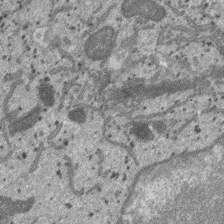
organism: Human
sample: Lung epithelial cells infected with SARS-CoV-2